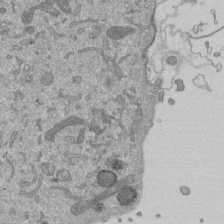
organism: Mouse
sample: ED-1 cell nuclei; centrioles